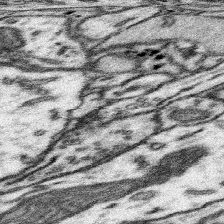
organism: Mouse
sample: Somatosensory cortex neuropil